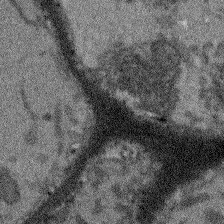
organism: Arabidopsis thaliana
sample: Root tip